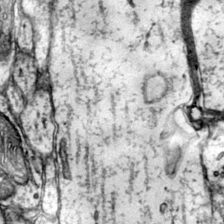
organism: Mouse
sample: Primary visual cortex